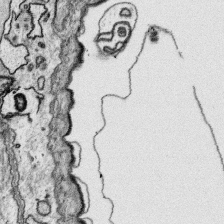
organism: Platynereis dumerilii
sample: Parapodia